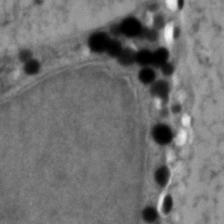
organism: Zebrafish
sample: Zebrafish embryo